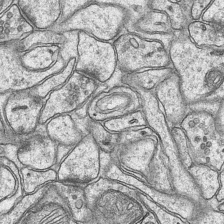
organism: Mouse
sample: CA1 Hippocampus